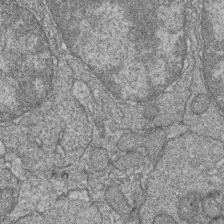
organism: Zebrafish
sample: Cilia; retinal pigment epithelium